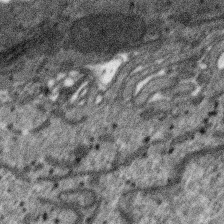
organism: Human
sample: Lung epithelial cells infected with SARS-CoV-2